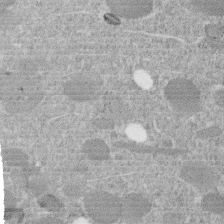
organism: C. elegans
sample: C. elegans embryo early stage